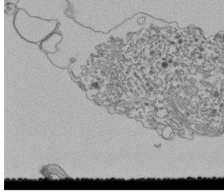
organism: Human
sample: Retinal organoid Rod and Cone cells